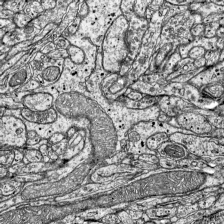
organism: Mouse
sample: Visual Cortex